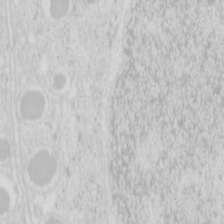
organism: Mouse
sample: Pancreas